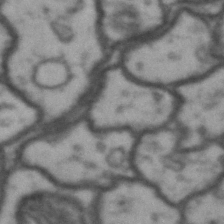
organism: Drosophila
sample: Brain